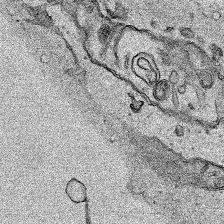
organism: Human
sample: Mitochondria in HCT116 cells